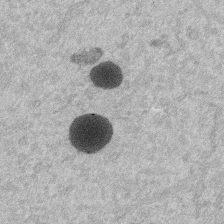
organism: Mouse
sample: Dividing mouse embryo 1 cell stage